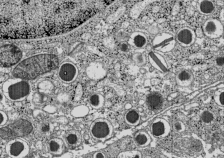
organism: C57BL Mouse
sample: Pancreatic islet